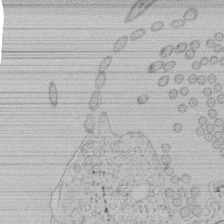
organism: Tetrahymena